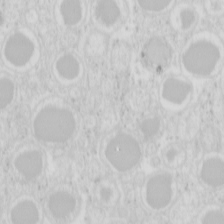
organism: Mouse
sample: Pancreas